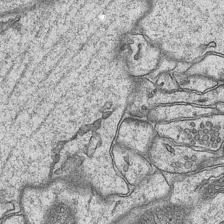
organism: Mouse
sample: CA1 Hippocampus